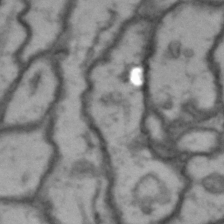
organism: Drosophila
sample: Brain